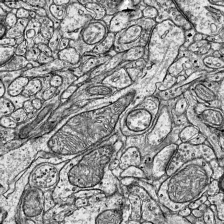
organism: Mouse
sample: Visual Cortex